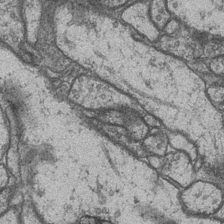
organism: Drosophila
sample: Optic medulla